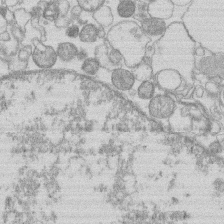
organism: Human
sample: Macrophage cells